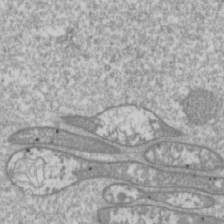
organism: Drosophila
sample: Cell division; meiosis; drosophila spermatocytes